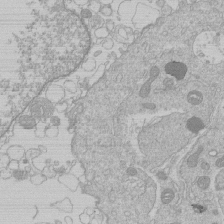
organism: Human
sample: Macrophage cells